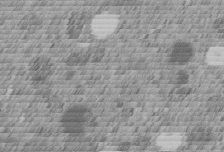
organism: C. elegans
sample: C. elegans embryo early stage